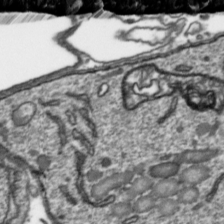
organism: Toxoplasma gondii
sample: Parasites in a vacuole inside a host cell